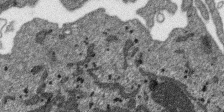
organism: Human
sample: Lung epithelial cells infected with SARS-CoV-2